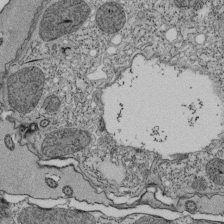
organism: Tetrahymena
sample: Cilia in tetrahymena